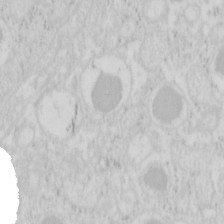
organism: Mouse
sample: Pancreas